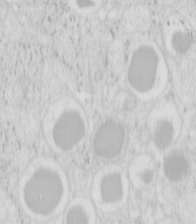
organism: Mouse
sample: Pancreas